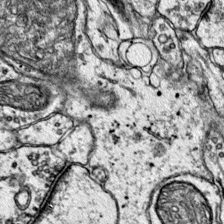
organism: Mouse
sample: Primary visual cortex